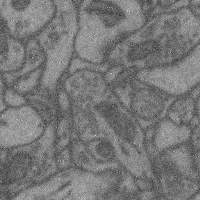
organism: Mouse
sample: Cerebral cortex